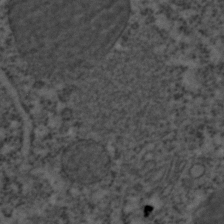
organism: C. elegans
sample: C. elegans embryo